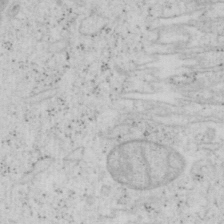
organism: Human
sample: HeLa cells